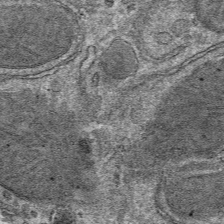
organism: Mouse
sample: Mouse hepatocytes